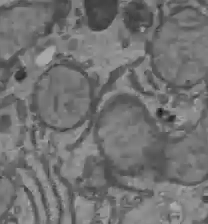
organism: C57BL Mouse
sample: Liver